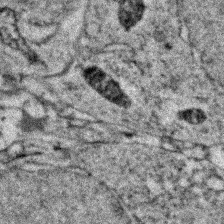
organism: Zebrafish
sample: Zebrafish embryo